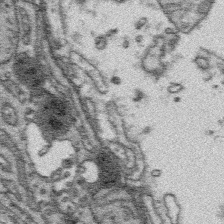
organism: Platynereis dumerilii